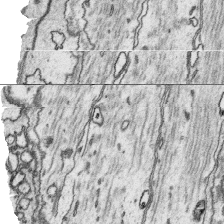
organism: Platynereis dumerilii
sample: Parapodia